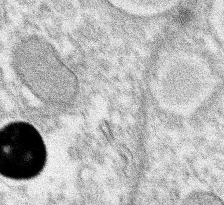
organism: Xenopus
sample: Cilia; centrioles in frog embryo cells